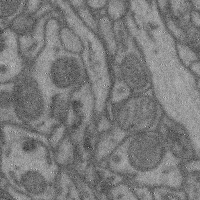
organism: Mouse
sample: Cerebral cortex